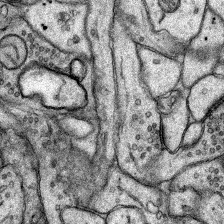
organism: Rat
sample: Hippocampus